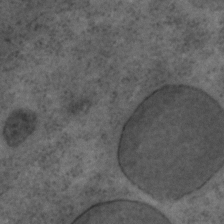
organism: C. elegans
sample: C. elegans embryo